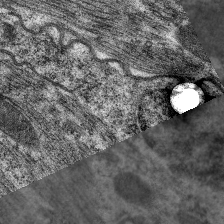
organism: C. elegans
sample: Pharynx